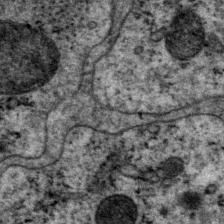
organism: P. pacificus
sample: Pharynx